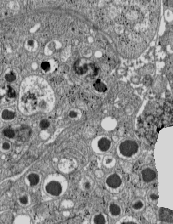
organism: C57BL Mouse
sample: Pancreatic islet